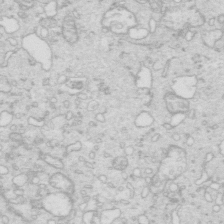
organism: Mouse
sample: Multiciliated cells